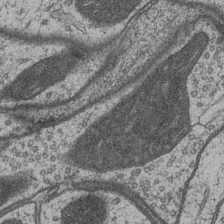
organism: Drosophila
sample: Optic medulla